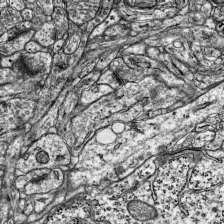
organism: Mouse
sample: Visual Cortex